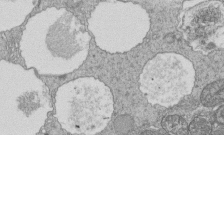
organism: Tetrahymena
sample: Cilia in tetrahymena